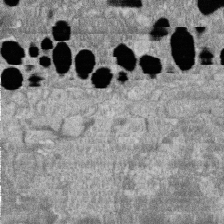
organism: Zebrafish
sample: Cilia; retinal pigment epithelium